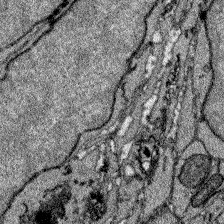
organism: Zebrafish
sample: Larval olfactory bulb